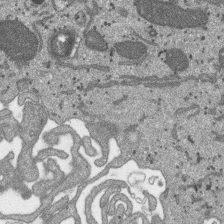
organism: Human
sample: Lung epithelial cells infected with SARS-CoV-2